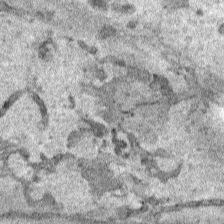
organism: Human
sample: Mitochondria in HCT116 cells